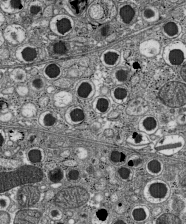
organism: C57BL Mouse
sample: Pancreatic islet